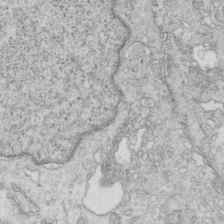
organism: Mouse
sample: Multiciliated cells